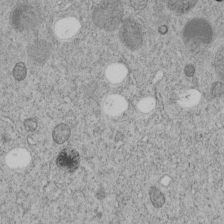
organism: C. elegans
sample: C. elegans embryo early stage